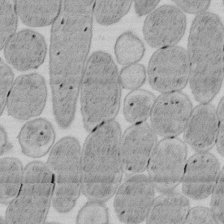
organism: E. coli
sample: Bacterial nucleoid